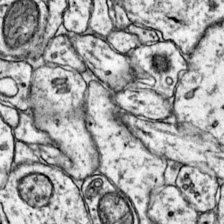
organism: Mouse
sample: Primary visual cortex